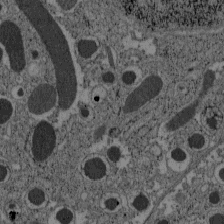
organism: C57BL Mouse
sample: Pancreatic islet